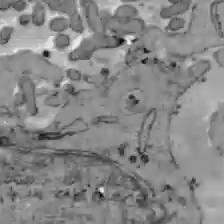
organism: C57BL Mouse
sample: Liver